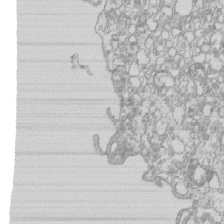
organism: Mouse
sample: Macrophages